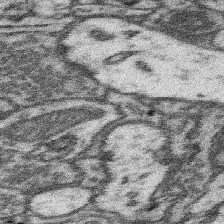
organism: Mouse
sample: Somatosensory cortex neuropil